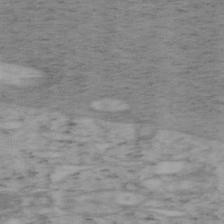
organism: Mouse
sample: OT-I killer T cells with ID8 ovarian cancer cells